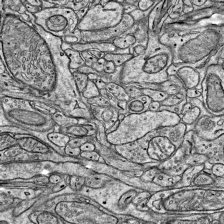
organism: Mouse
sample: Visual Cortex